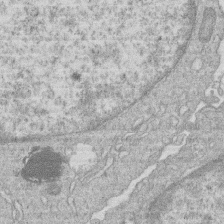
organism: Human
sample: Macrophage cells